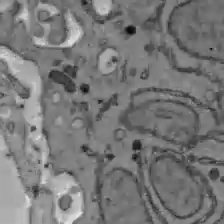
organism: C57BL Mouse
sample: Liver